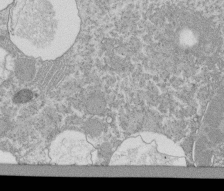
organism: Tetrahymena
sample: Cilia in tetrahymena